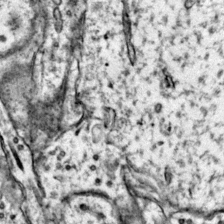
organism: Mouse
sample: Primary visual cortex